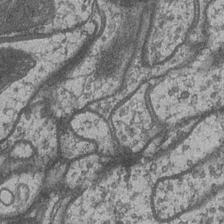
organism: Drosophila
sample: Optic medulla